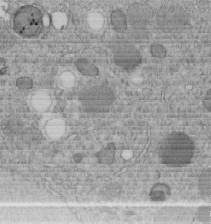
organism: C. elegans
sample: C. elegans embryo early stage